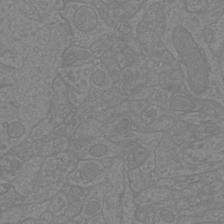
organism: Mouse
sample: Cortical neurons